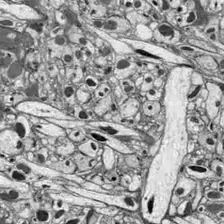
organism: Drosophila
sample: Optic lobe